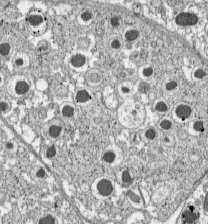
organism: C57BL Mouse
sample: Pancreatic islet